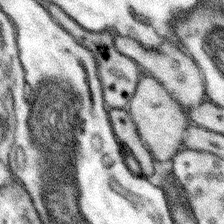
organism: Mouse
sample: Somatosensory cortex neuropil